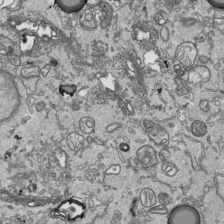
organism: Human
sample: Mitochondria in HCT116 cells